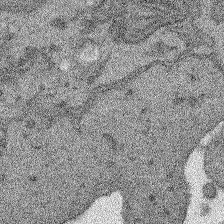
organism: Human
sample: HeLa cells